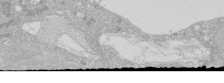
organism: Human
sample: Caco-2 cells